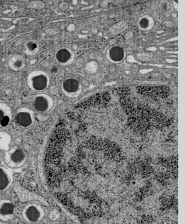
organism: C57BL Mouse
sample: Pancreatic islet